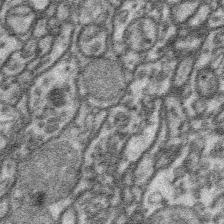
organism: Platynereis dumerilii